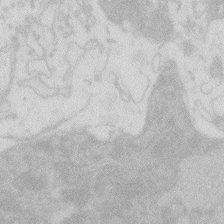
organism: Zebrafish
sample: Macrophage